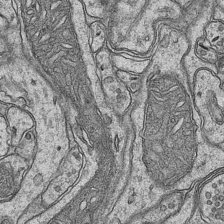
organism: Mouse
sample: CA1 Hippocampus